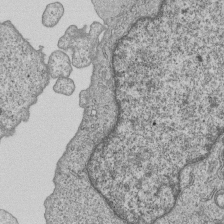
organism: Human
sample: MDA-MB-231 cells